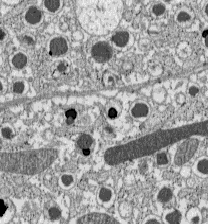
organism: C57BL Mouse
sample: Pancreatic islet